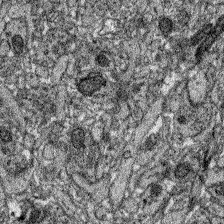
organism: Zebrafish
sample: Larval olfactory bulb